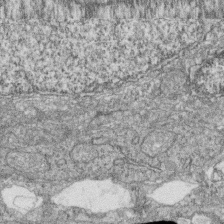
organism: Zebrafish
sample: Cilia; retinal pigment epithelium